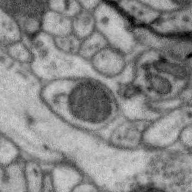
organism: Zebra finch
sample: Brain